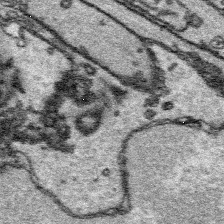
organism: Platynereis dumerilii